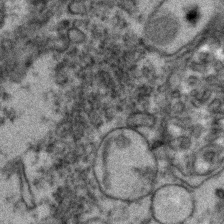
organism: Zebrafish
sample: Zebrafish embryo